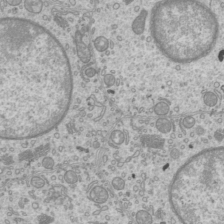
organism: Mouse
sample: Cilia; mouse epididymis